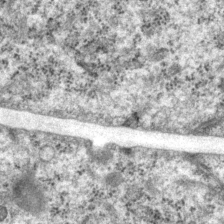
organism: P. pacificus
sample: Pharynx